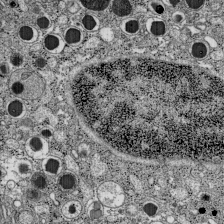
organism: C57BL Mouse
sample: Pancreatic islet